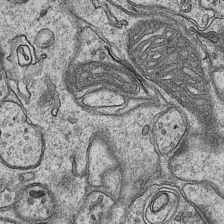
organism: Mouse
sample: CA1 Hippocampus